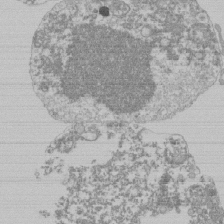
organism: Mouse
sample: Activated Pmel transgenic CD8+ T Cells